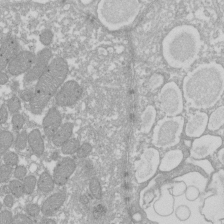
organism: Xenopus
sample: Cilia; centrioles in frog embryo cells